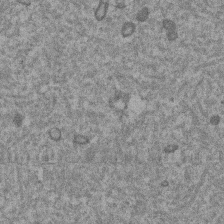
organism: Mouse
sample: Dividing mouse embryo 1 cell stage